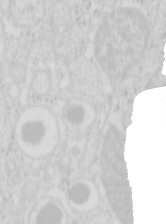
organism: Mouse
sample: Pancreas